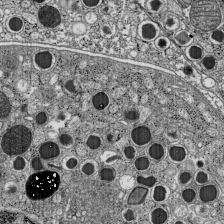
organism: C57BL Mouse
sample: Pancreatic islet